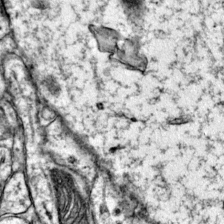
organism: Mouse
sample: Primary visual cortex